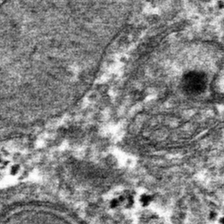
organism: Mouse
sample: Mouse hepatocytes